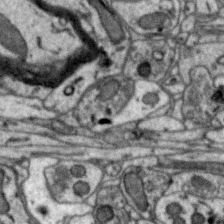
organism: Zebra finch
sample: Brain